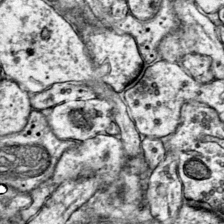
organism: Mouse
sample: Primary visual cortex